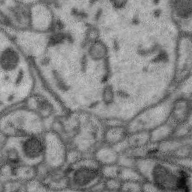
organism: Zebra finch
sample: Brain